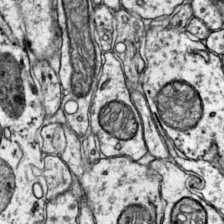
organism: Mouse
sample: Primary visual cortex